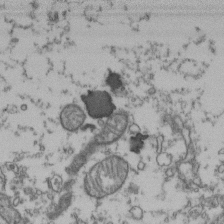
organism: Human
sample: Activated Jurkat CD4+ T cells